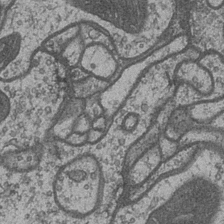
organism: Drosophila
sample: Optic medulla